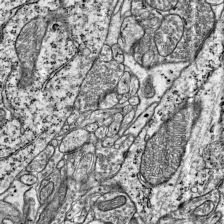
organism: Mouse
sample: Visual Cortex